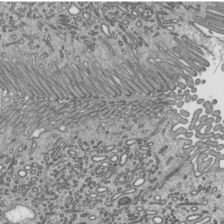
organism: Mouse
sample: Mouse epididymis efferent ductule cilia